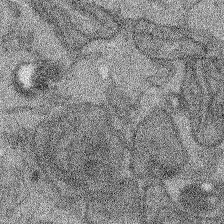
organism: Human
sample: HeLa cells